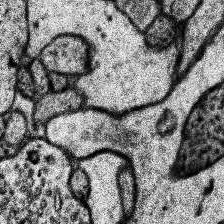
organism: Human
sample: Temporal Lobe